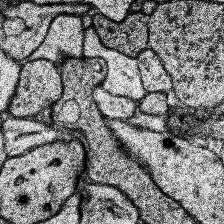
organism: Human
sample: Temporal Lobe